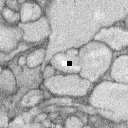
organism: Rabbit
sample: Retina